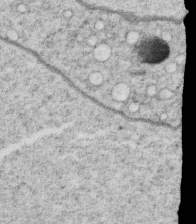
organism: C. elegans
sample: C. elegans oocyte; sperm cells